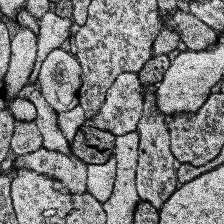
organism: Human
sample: Temporal Lobe